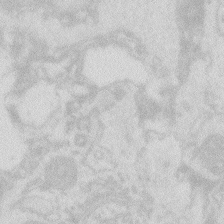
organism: Zebrafish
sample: Macrophage